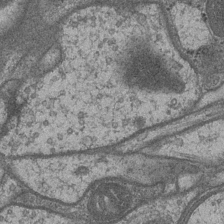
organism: Drosophila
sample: Optic medulla